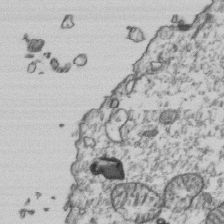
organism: Human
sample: Activated Jurkat CD4+ T cells